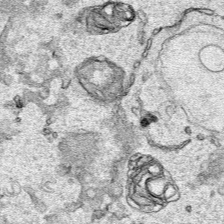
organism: Human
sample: Mitochondria in HCT116 cells